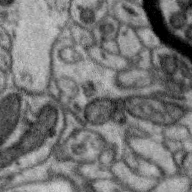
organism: Zebra finch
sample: Brain